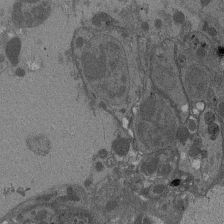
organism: Drosophila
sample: Antenna